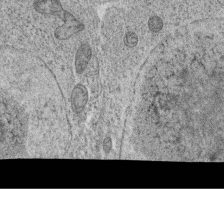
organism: C. elegans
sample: C. elegans oocyte; sperm cells